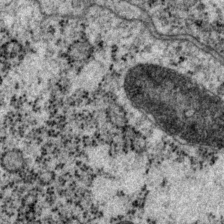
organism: P. pacificus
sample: Pharynx